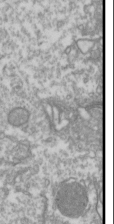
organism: Drosophila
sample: Cell division; meiosis; drosophila spermatocytes